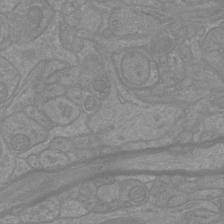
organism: Mouse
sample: Cortical neurons